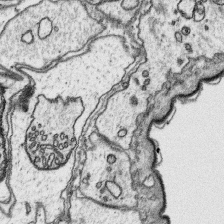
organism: Platynereis dumerilii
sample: Parapodia